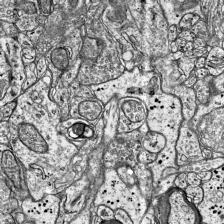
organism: Mouse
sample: Visual Cortex